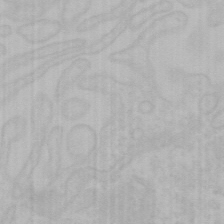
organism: Mouse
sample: Choroid plexus